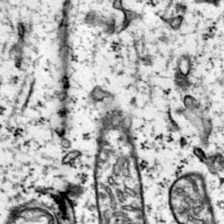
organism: Mouse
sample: Primary visual cortex